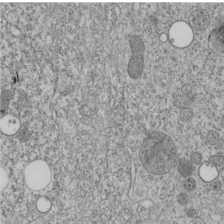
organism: C. elegans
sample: C. elegans embryo early stage